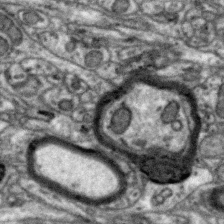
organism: Zebra finch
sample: Brain